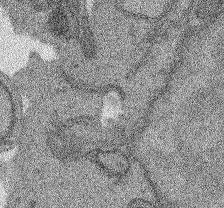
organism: Human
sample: HeLa cells